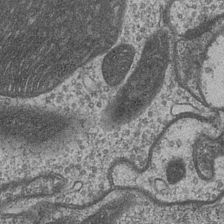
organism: Drosophila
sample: Optic medulla